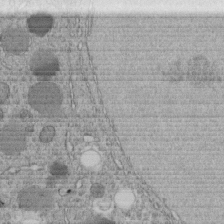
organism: C. elegans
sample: C. elegans embryo early stage